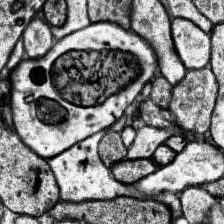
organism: Human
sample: Temporal Lobe